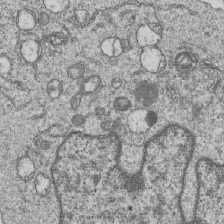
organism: Human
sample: MDA-MB-231 cells